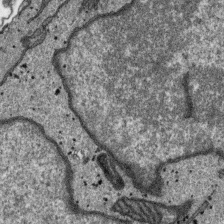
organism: Human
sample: Lung epithelial cells, uninfected (mock) control